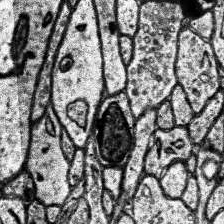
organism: Human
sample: Temporal Lobe